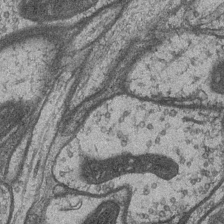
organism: Drosophila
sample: Optic medulla